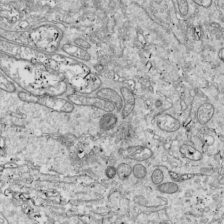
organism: Drosophila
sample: Cell division; meiosis; drosophila spermatocytes